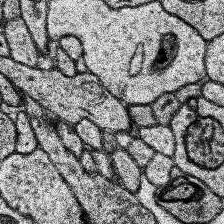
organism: Human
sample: Temporal Lobe